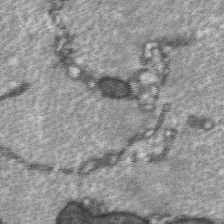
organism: C57BL Mouse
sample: Soleus